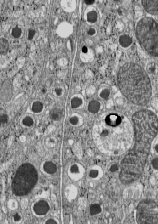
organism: C57BL Mouse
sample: Pancreatic islet